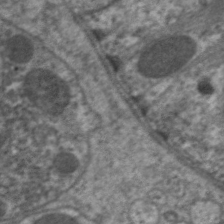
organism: C. elegans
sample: Pharynx